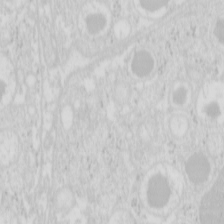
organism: Mouse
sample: Pancreas